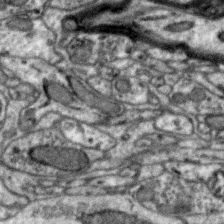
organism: Zebra finch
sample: Brain